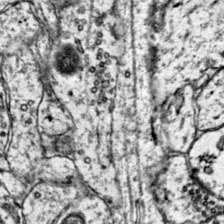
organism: Mouse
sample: Primary visual cortex